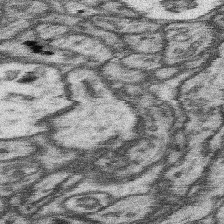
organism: Mouse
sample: Somatosensory cortex neuropil